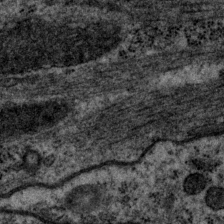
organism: P. pacificus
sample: Pharynx